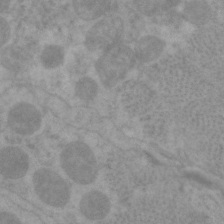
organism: C. elegans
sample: Pharynx